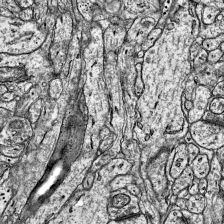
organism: Mouse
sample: Visual Cortex